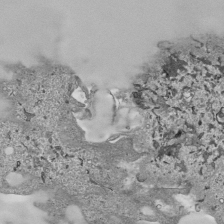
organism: Human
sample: Mitochondria in HCT116 cells